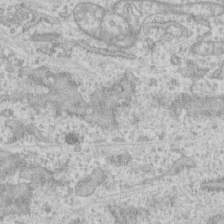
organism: Human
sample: CRL-1474